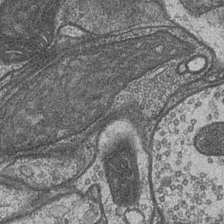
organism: Drosophila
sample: Optic medulla